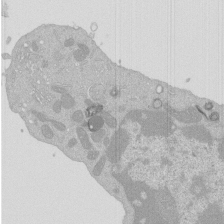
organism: Mouse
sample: Activated Pmel transgenic CD8+ T Cells